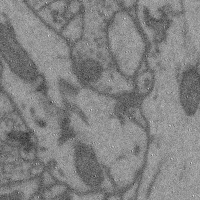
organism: Mouse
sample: Cerebral cortex